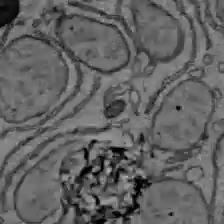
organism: C57BL Mouse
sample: Liver